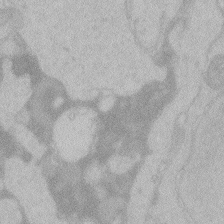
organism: Zebrafish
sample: Macrophage infected with Toxoplasma gondii